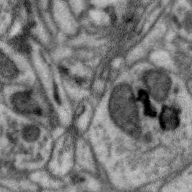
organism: Zebra finch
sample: Brain